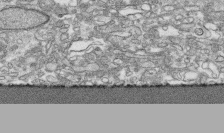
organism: Human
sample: CRL-1474